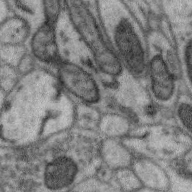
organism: Zebra finch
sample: Brain